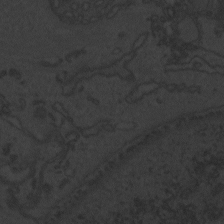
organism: Zebrafish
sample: Macrophage infected with Toxoplasma gondii